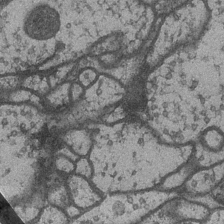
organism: Drosophila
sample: Optic medulla